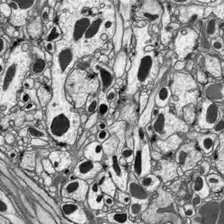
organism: Drosophila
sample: Optic lobe